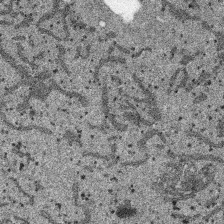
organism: Human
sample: Lung epithelial cells infected with SARS-CoV-2